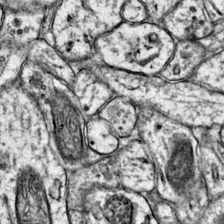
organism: Mouse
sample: Primary visual cortex